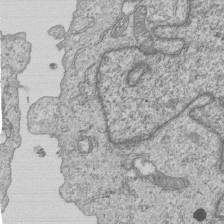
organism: Human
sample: MDA-MB-231 cells